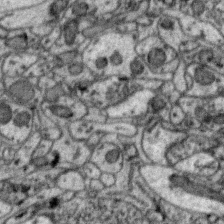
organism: Zebra finch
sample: Brain